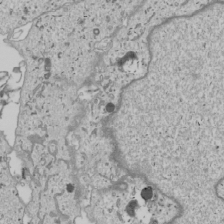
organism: Human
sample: Mitochondria in U2OS cells